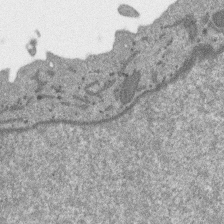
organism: Human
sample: Lung epithelial cells infected with SARS-CoV-2